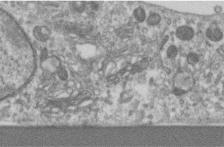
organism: Human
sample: Centriole in RPE cells